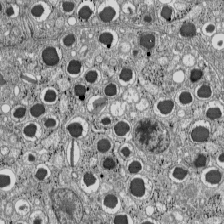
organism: C57BL Mouse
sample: Pancreatic islet